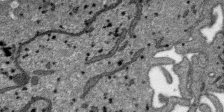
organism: Human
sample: Lung epithelial cells, uninfected (mock) control